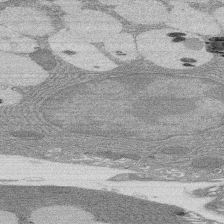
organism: Rat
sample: Salivary granule